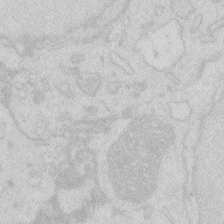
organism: Zebrafish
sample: Macrophage